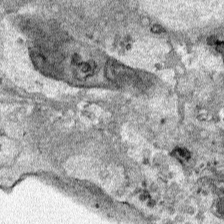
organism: Human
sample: Mitochondria in HCT116 cells